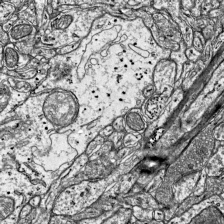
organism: Mouse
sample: Visual Cortex